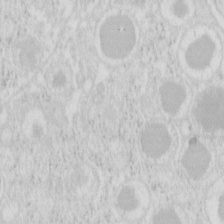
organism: Mouse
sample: Pancreas